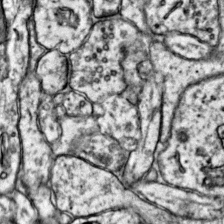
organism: Mouse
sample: Primary visual cortex